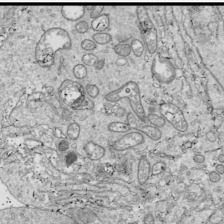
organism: Drosophila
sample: Cell division; meiosis; drosophila spermatocytes